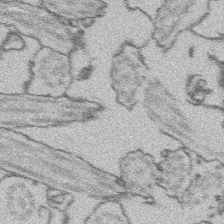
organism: Platynereis dumerilii